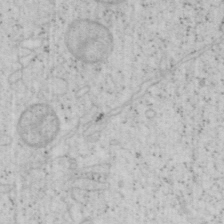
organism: Human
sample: HeLa cells